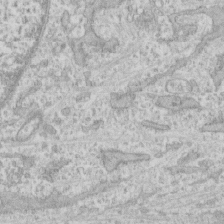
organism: Human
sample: CRL-1474